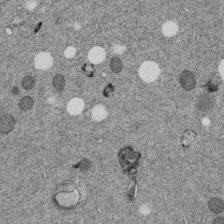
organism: C. elegans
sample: C. elegans embryo early stage